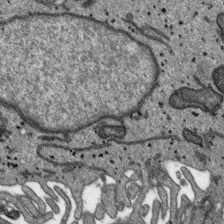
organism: Human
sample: Lung epithelial cells, uninfected (mock) control